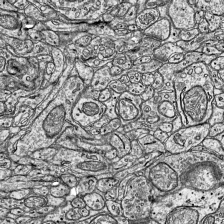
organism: Mouse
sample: Visual Cortex